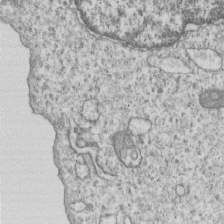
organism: Human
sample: MDA-MB-231 cells